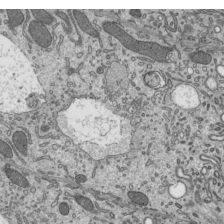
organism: Mouse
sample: Mouse epididymis efferent ductule cilia